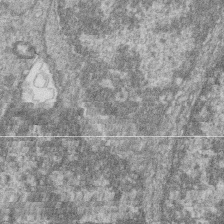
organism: Zebrafish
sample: Cilia; retinal pigment epithelium